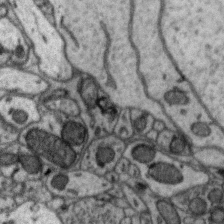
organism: Zebra finch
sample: Brain